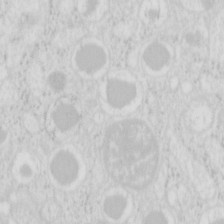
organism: Mouse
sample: Pancreas